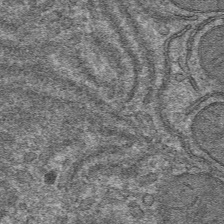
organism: Mouse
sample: Mouse hepatocytes